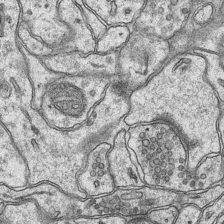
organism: Mouse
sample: CA1 Hippocampus